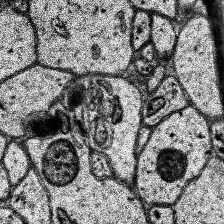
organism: Human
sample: Temporal Lobe